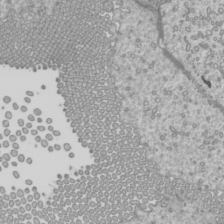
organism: Mouse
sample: Cilia; mouse epididymis